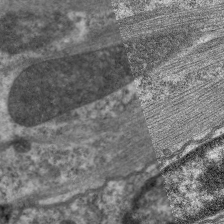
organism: C. elegans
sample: Pharynx